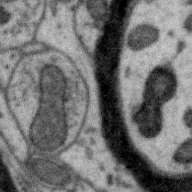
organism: Zebra finch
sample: Brain